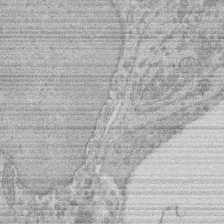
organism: Rat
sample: Salivary granule